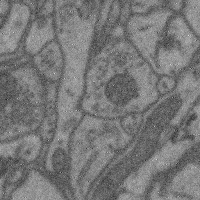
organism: Mouse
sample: Cerebral cortex